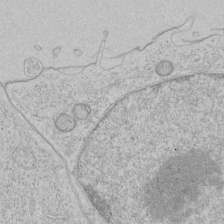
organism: Human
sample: Mitochondria in HCT116 cells